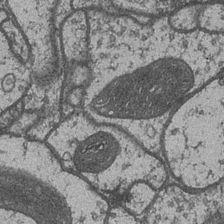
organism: Drosophila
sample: Optic medulla